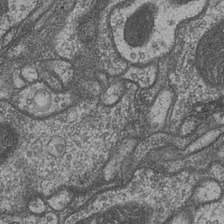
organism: Drosophila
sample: Optic medulla